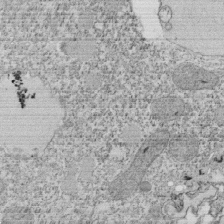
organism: Tetrahymena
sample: Cilia in tetrahymena